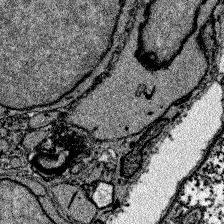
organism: Zebrafish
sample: Larval olfactory bulb